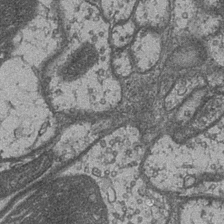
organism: Drosophila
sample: Optic medulla